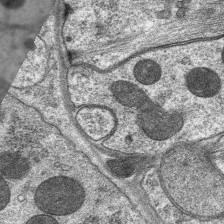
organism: C. elegans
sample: Pharynx